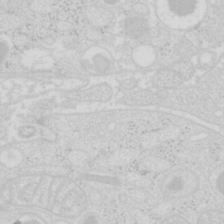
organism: Mouse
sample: Pancreas